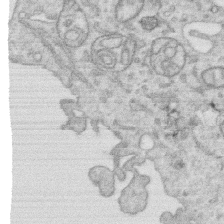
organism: Human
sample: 1205lu cells